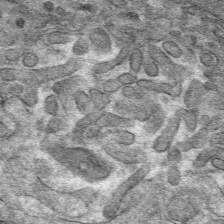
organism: Mouse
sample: Mouse hepatocytes